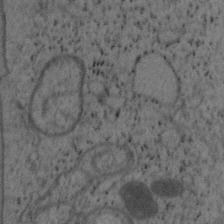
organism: Human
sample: HeLa cells